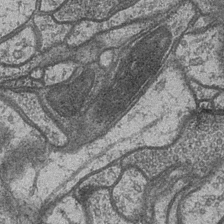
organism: Drosophila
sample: Optic medulla